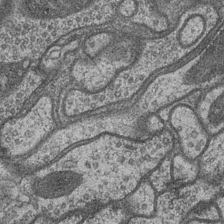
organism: Drosophila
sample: Optic medulla